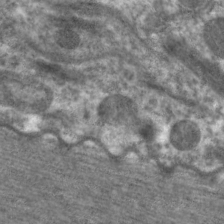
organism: C. elegans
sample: Pharynx